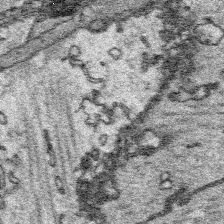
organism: Platynereis dumerilii